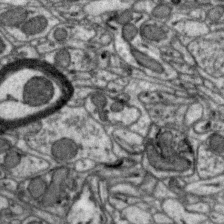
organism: Zebra finch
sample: Brain